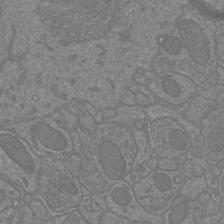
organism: Mouse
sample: Cortical neurons